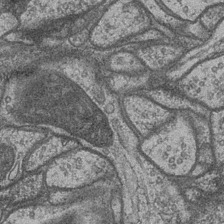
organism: Drosophila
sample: Optic medulla